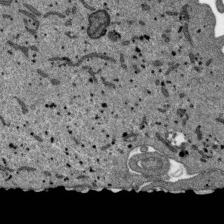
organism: Human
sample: Lung epithelial cells, uninfected (mock) control